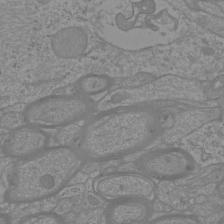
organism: Mouse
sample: Cortical neurons